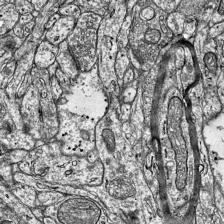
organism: Mouse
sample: Visual Cortex